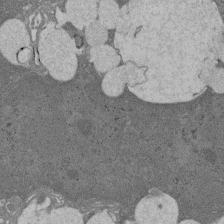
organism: Rat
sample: Salivary granule